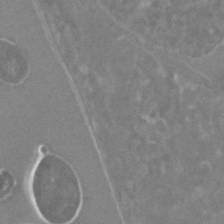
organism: C. elegans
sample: C. elegans embryo